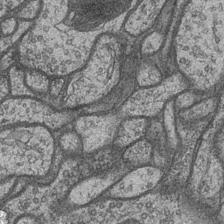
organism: Drosophila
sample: Optic medulla